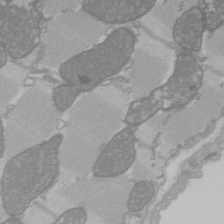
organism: C57BL Mouse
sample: Heart